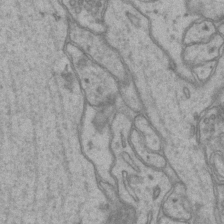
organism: Mouse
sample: CA1 Hippocampus